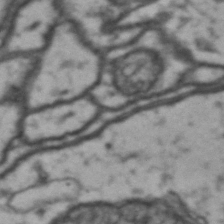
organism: Drosophila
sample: Brain